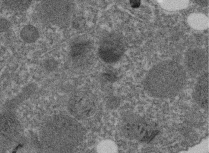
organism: C. elegans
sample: C. elegans embryo early stage